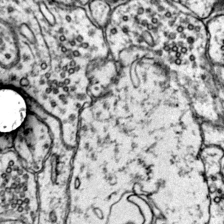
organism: Mouse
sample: Primary visual cortex